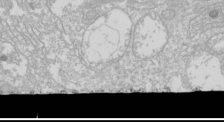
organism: Drosophila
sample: Cell division; meiosis; drosophila spermatocytes